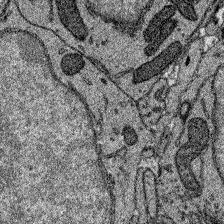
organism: Zebrafish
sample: Larval olfactory bulb